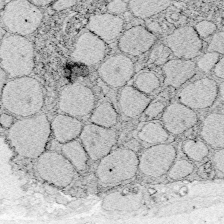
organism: Zebrafish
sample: Whole-Brain